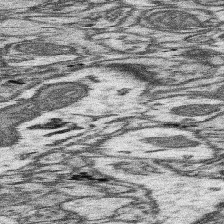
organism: Mouse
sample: Somatosensory cortex neuropil